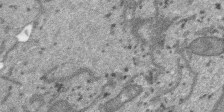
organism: Human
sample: Lung epithelial cells infected with SARS-CoV-2